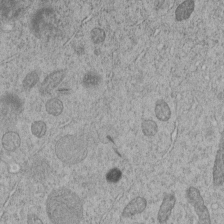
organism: C. elegans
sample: C. elegans embryo early stage